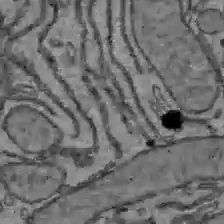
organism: C57BL Mouse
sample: Liver